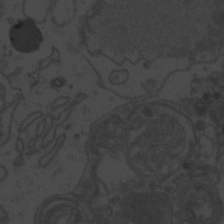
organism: Zebrafish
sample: Macrophage infected with Toxoplasma gondii